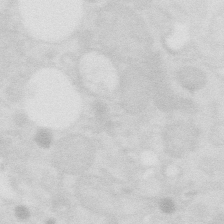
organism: Human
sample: HeLa cells